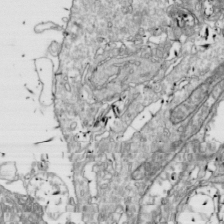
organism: Drosophila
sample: Cell division; meiosis; drosophila spermatocytes